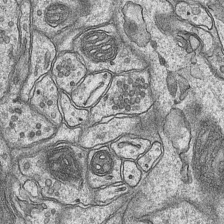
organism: Mouse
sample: CA1 Hippocampus